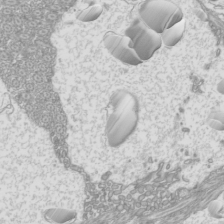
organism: Mouse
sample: Cilia; mouse epididymis